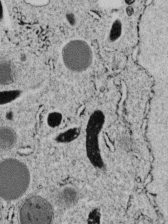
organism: C. elegans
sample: C. elegans embryo early stage